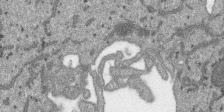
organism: Human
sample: Lung epithelial cells infected with SARS-CoV-2